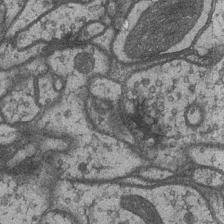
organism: Drosophila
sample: Optic medulla